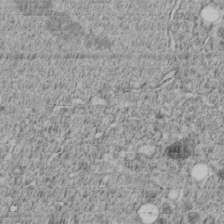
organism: C. elegans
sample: C. elegans embryo early stage